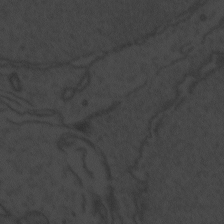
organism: Zebrafish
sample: Macrophage infected with Toxoplasma gondii